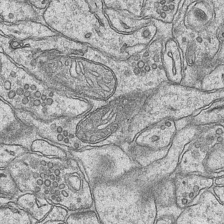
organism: Mouse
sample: CA1 Hippocampus